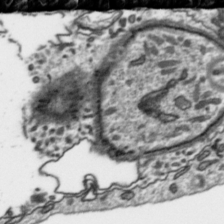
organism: Toxoplasma gondii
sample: Parasites in a vacuole inside a host cell